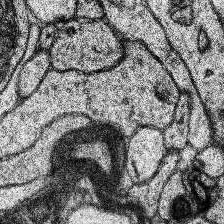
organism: Human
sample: Temporal Lobe